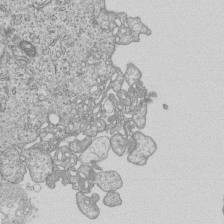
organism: Human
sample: MDA-MB-231 cells